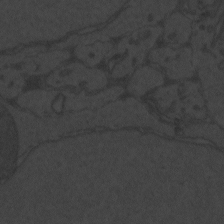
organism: Zebrafish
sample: Macrophage infected with Toxoplasma gondii